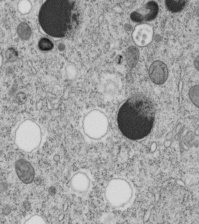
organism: C. elegans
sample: C. elegans embryo early stage